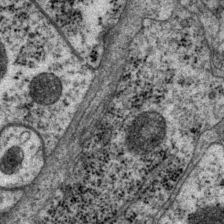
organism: P. pacificus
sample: Pharynx